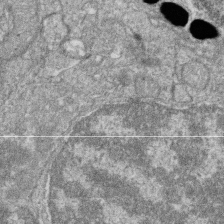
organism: Zebrafish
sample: Cilia; retinal pigment epithelium